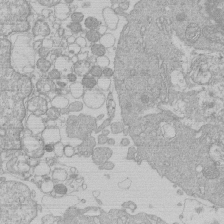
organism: Human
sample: Macrophage cells